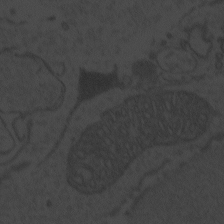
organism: Zebrafish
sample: Macrophage infected with Toxoplasma gondii